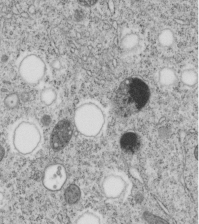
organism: C. elegans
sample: C. elegans embryo early stage